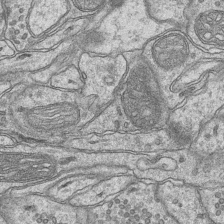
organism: Mouse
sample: CA1 Hippocampus